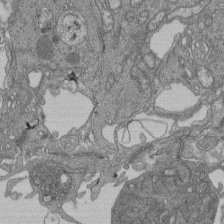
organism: Human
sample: Retinal organoid Rod and Cone cells